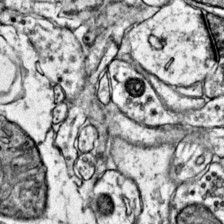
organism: Mouse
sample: Primary visual cortex